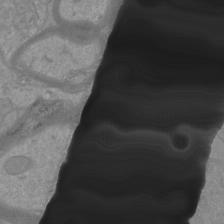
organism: Mouse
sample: Cortical neurons